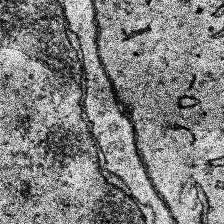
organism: Human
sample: Temporal Lobe